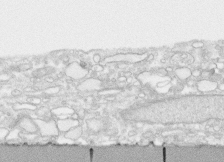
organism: Human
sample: CRL-1474